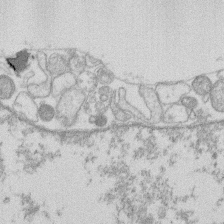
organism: Human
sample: Macrophage cells